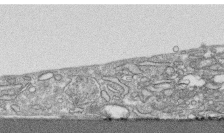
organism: Human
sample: CRL-1474